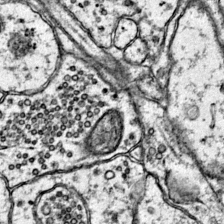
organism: Mouse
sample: Primary visual cortex